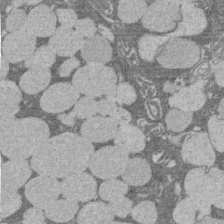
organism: Rat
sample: Salivary granule